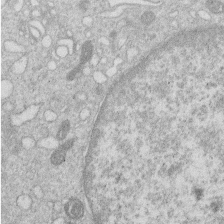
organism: Human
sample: Macrophage cells